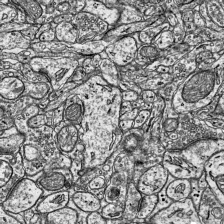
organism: Mouse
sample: Visual Cortex